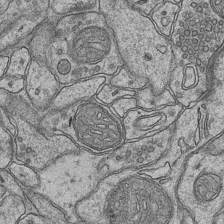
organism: Mouse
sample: CA1 Hippocampus